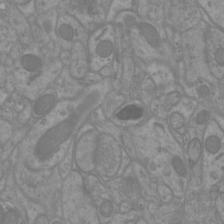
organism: Mouse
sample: Cortical neurons